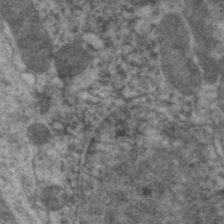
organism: C. elegans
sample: Pharynx